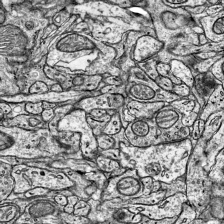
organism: Mouse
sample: Visual Cortex